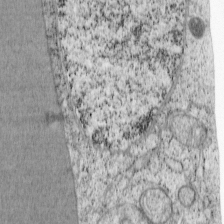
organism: African green monkey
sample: COS-7 cells